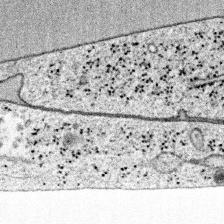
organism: Human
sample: HeLa cells